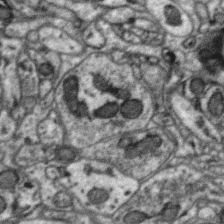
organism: Zebra finch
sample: Brain